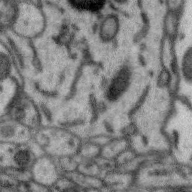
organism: Zebra finch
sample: Brain